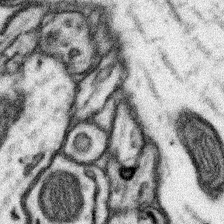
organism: Mouse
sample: Somatosensory cortex neuropil